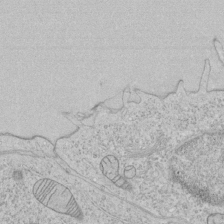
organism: Human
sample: Mitochondria in HCT116 cells